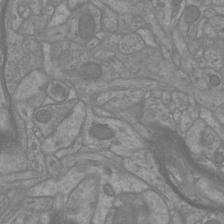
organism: Mouse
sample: Cortical neurons